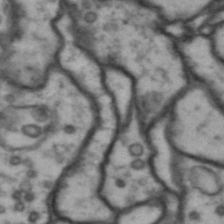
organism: Drosophila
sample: Brain